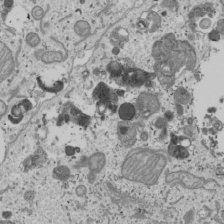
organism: Human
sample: Mitochondria in U2OS cells